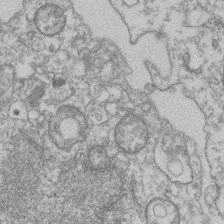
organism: Mouse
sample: T cell stromal cell synapse